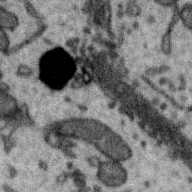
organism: Zebra finch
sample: Brain